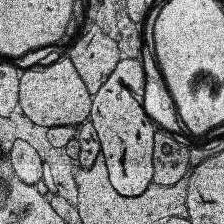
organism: Human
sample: Temporal Lobe